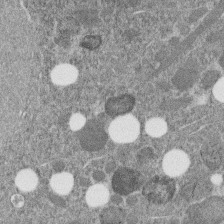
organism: C. elegans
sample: C. elegans embryo early stage